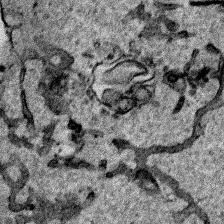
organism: Human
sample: Mitochondria in HCT116 cells